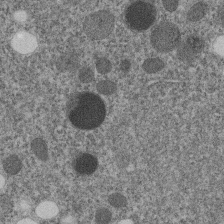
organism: C. elegans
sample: C. elegans embryo early stage